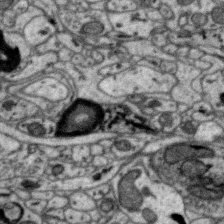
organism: Zebra finch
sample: Brain